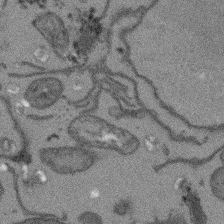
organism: Arabidopsis thaliana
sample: Root tip